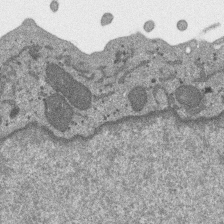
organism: Human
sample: Lung epithelial cells infected with SARS-CoV-2